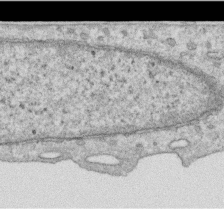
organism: Human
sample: Centriole in RPE cells